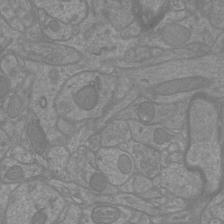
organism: Mouse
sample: Cortical neurons